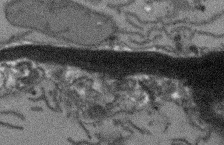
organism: Arabidopsis thaliana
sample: Root tip